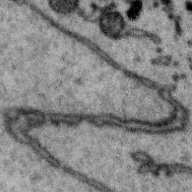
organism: Zebra finch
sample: Brain